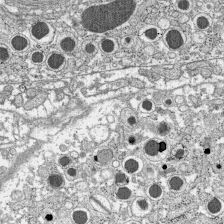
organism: C57BL Mouse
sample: Pancreatic islet